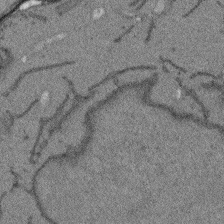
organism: Arabidopsis thaliana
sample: Root tip